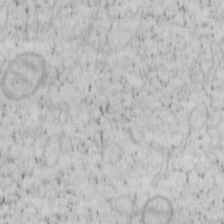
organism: Human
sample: HeLa cells